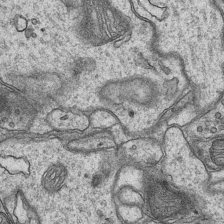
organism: Mouse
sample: CA1 Hippocampus